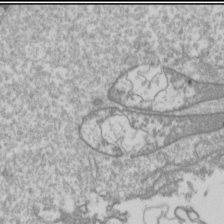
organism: Drosophila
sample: Cell division; meiosis; drosophila spermatocytes